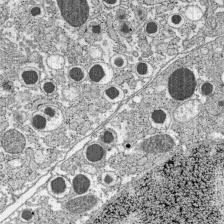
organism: C57BL Mouse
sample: Pancreatic islet